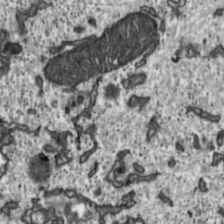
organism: Toxoplasma gondii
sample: Parasites in a vacuole inside a host cell